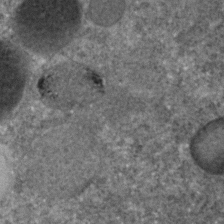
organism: C. elegans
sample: C. elegans embryo